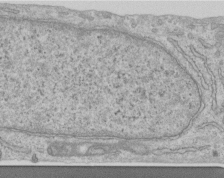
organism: Human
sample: Centriole in RPE cells